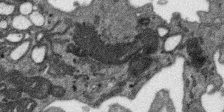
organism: Human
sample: Lung epithelial cells infected with SARS-CoV-2